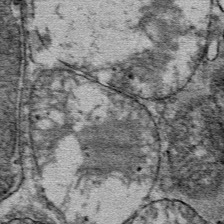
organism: Mouse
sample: Mouse Salivary gland